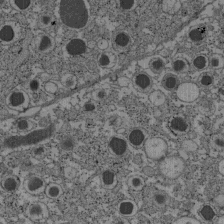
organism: C57BL Mouse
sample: Pancreatic islet